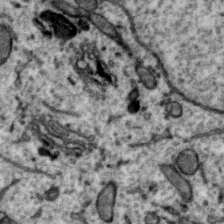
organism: Zebra finch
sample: Brain